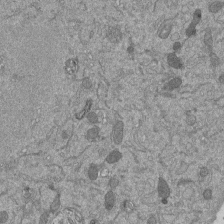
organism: Mouse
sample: ED-1 cell nuclei; centrioles